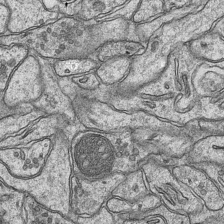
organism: Mouse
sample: CA1 Hippocampus